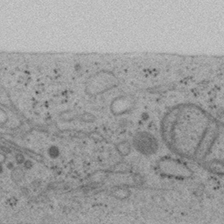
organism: Human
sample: HeLa cells